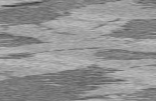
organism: C57BL Mouse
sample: Heart